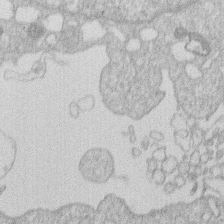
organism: Human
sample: Macrophage cells